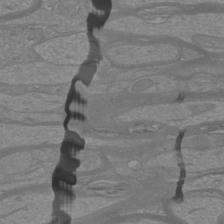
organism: Mouse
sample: Cortical neurons